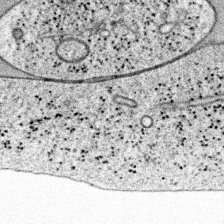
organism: Human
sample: HeLa cells